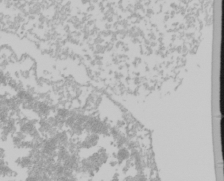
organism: Mouse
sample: Cancer cell death in ED-1 cells